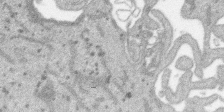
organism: Human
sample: Lung epithelial cells infected with SARS-CoV-2